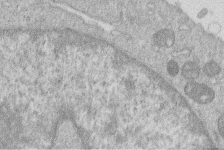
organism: Human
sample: Macrophage cells